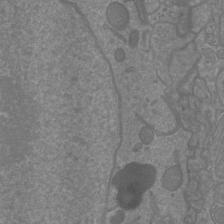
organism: Mouse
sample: Cortical neurons